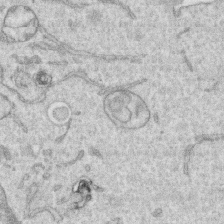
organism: Human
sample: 1205lu cells